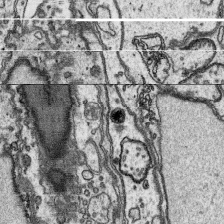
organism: Platynereis dumerilii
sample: Parapodia